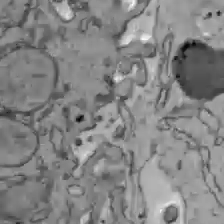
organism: C57BL Mouse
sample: Liver